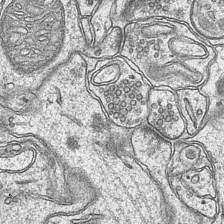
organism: Mouse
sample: CA1 Hippocampus